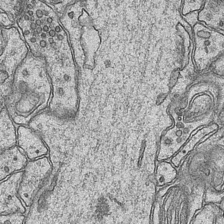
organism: Mouse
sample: CA1 Hippocampus